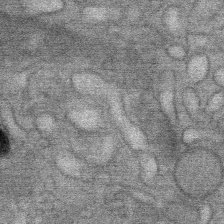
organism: Mouse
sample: Mouse Salivary gland